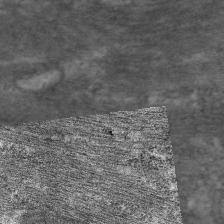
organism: C. elegans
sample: Pharynx